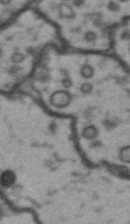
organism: Drosophila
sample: Brain